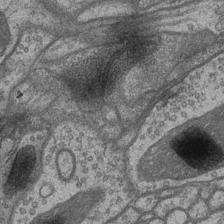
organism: Drosophila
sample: Optic medulla